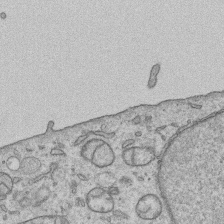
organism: Human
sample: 1205lu cells